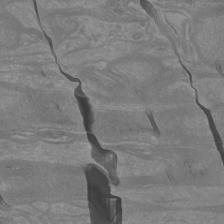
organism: Mouse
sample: Cortical neurons